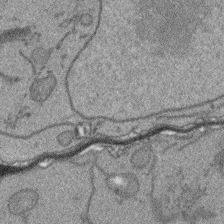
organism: Arabidopsis thaliana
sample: Root tip